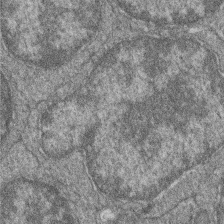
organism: Zebrafish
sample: Cilia; retinal pigment epithelium